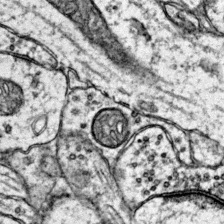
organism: Mouse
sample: Primary visual cortex